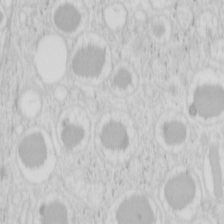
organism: Mouse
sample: Pancreas